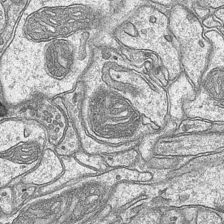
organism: Mouse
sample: CA1 Hippocampus